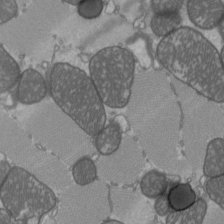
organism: C57BL Mouse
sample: Heart